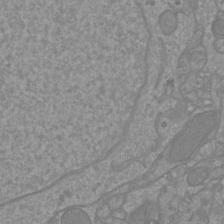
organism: Mouse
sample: Cortical neurons